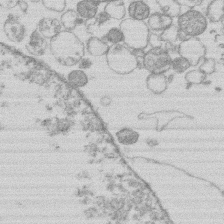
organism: Human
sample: Macrophage cells